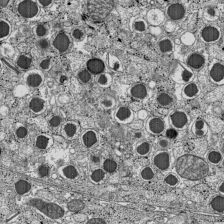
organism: C57BL Mouse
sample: Pancreatic islet